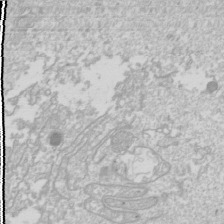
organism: Drosophila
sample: Cell division; meiosis; drosophila spermatocytes